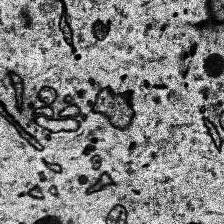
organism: Human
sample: Temporal Lobe